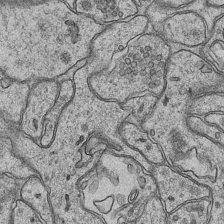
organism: Mouse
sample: CA1 Hippocampus